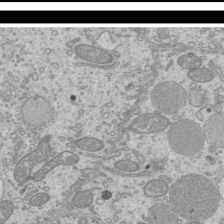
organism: Mouse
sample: Cilia; mouse epididymis